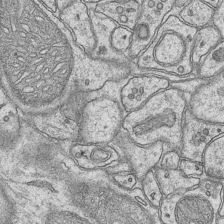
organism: Mouse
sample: CA1 Hippocampus